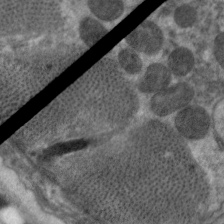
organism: C. elegans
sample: Pharynx